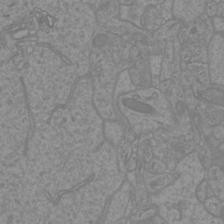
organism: Mouse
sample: Cortical neurons